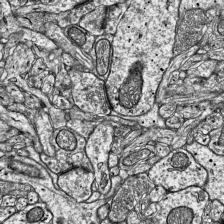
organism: Mouse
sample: Visual Cortex